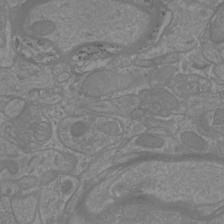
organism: Mouse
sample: Cortical neurons